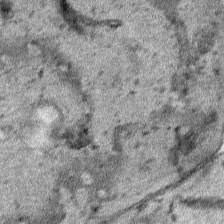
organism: Human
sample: Mitochondria in HCT116 cells